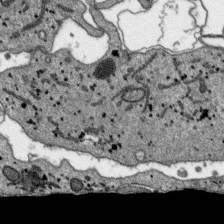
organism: Human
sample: Lung epithelial cells, uninfected (mock) control